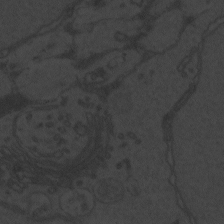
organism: Zebrafish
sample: Macrophage infected with Toxoplasma gondii